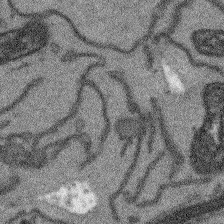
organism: Arabidopsis thaliana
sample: Root tip